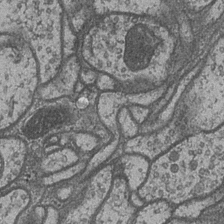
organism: Drosophila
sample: Optic medulla